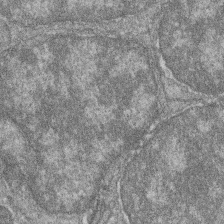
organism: Zebrafish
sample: Cilia; retinal pigment epithelium